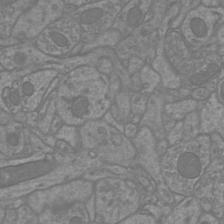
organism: Mouse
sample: Cortical neurons